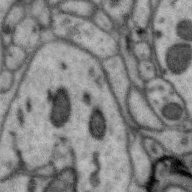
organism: Zebra finch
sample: Brain